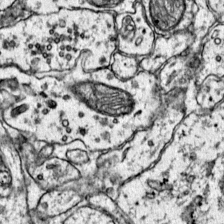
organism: Mouse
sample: Primary visual cortex